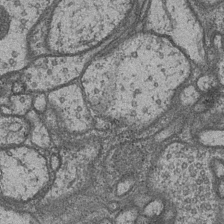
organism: Drosophila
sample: Optic medulla